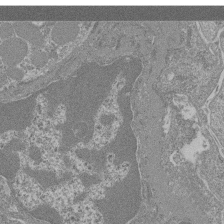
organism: Mouse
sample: Glomerulus